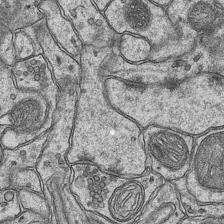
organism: Mouse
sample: CA1 Hippocampus